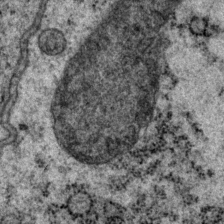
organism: P. pacificus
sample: Pharynx